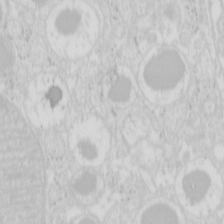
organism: Mouse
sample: Pancreas